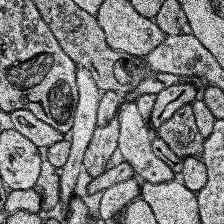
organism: Human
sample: Temporal Lobe